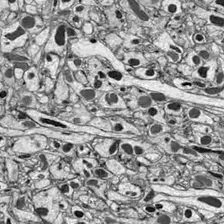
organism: Drosophila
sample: Optic lobe